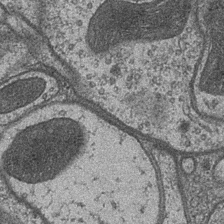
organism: Drosophila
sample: Optic medulla